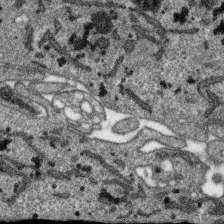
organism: Human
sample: Lung epithelial cells infected with SARS-CoV-2